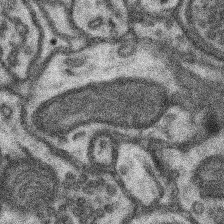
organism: Mouse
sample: Somatosensory cortex neuropil